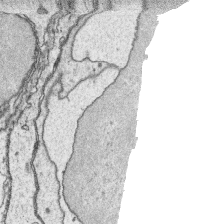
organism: Platynereis dumerilii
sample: Parapodia